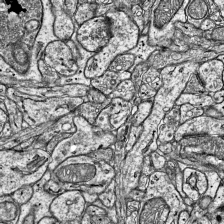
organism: Mouse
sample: Visual Cortex